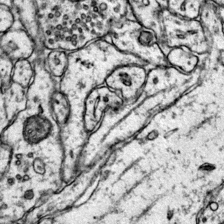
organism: Mouse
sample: Primary visual cortex